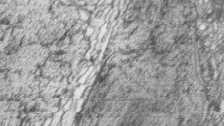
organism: Zebrafish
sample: synaptic ribbons in rod cells and cone cells